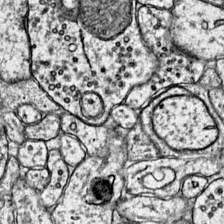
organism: Mouse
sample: Primary visual cortex